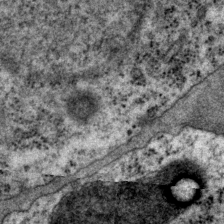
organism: P. pacificus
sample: Pharynx